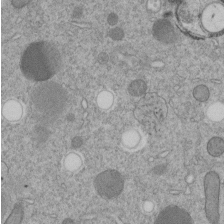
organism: C. elegans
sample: C. elegans embryo early stage